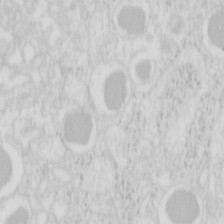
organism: Mouse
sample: Pancreas